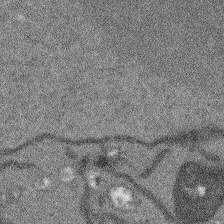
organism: Arabidopsis thaliana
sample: Root tip